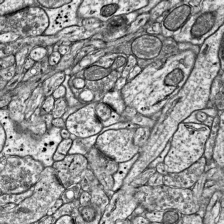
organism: Mouse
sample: Visual Cortex